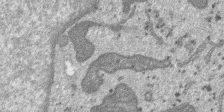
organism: Human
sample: Lung epithelial cells infected with SARS-CoV-2